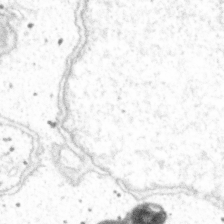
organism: Human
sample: HeLa cells